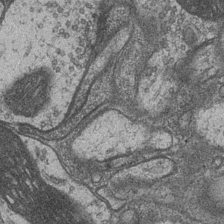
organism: Drosophila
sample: Optic medulla